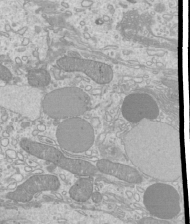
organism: Mouse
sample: Cilia; mouse epididymis